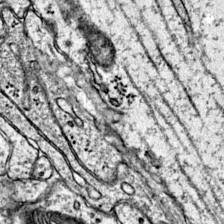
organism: Mouse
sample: Primary visual cortex